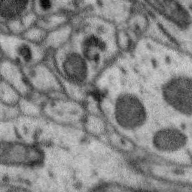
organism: Zebra finch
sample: Brain